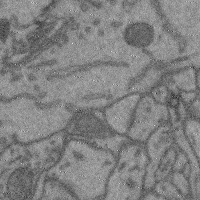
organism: Mouse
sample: Cerebral cortex